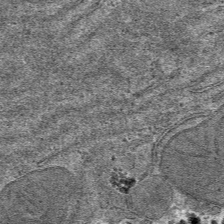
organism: Mouse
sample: Mouse hepatocytes